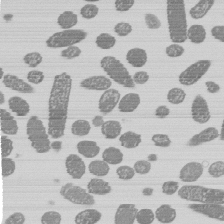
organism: E. coli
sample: Bacterial nucleoid